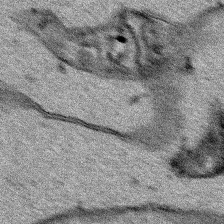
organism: Human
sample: Mitochondria in HCT116 cells